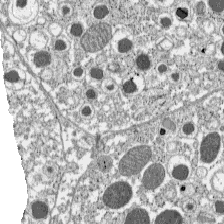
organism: C57BL Mouse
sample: Pancreatic islet